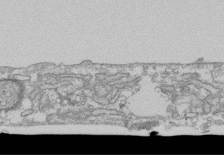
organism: Human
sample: Fibroblast cells